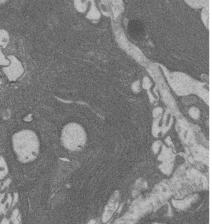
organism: Rat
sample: Salivary granule